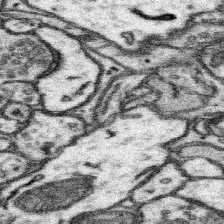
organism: Mouse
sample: Somatosensory cortex neuropil